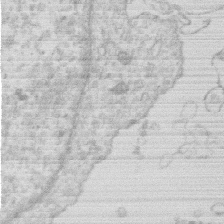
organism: Human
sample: Macrophage cells